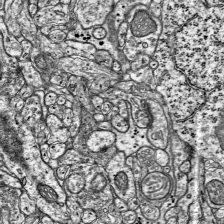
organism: Mouse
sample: Visual Cortex